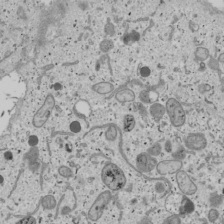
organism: Human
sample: Mitochondria in U2OS cells